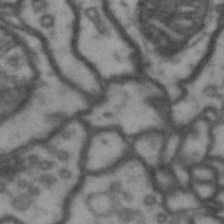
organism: Drosophila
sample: Brain